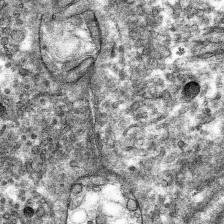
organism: Mouse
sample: Mouse hepatocytes